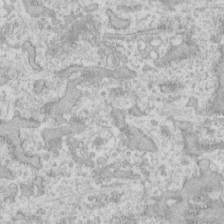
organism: Human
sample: Fibroblast cells